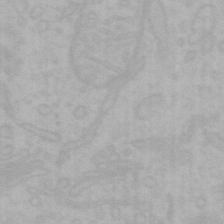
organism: Mouse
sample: Choroid plexus